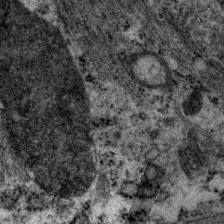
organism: P. pacificus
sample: Pharynx